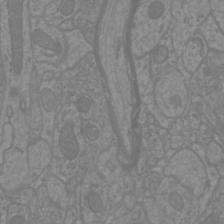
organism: Mouse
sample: Cortical neurons